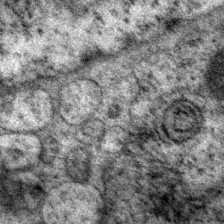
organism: P. pacificus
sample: Pharynx